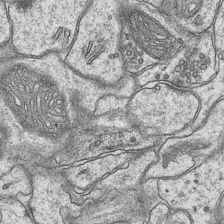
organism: Mouse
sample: CA1 Hippocampus